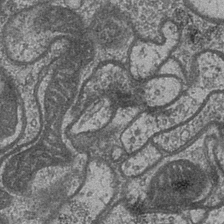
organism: Drosophila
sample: Optic medulla